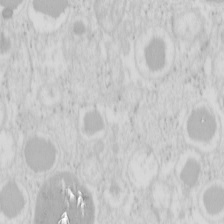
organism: Mouse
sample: Pancreas